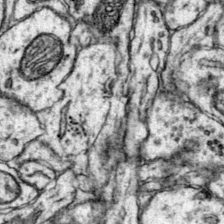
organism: Mouse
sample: Primary visual cortex